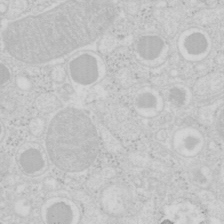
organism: Mouse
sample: Pancreas